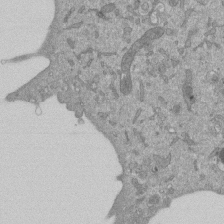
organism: Mouse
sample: ED-1 cell nuclei; centrioles